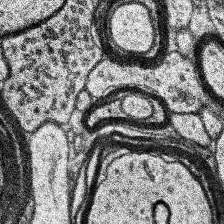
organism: Human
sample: Temporal Lobe